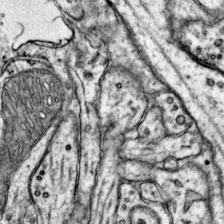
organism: Mouse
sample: Primary visual cortex